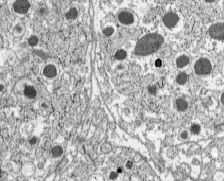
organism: C57BL Mouse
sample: Pancreatic islet